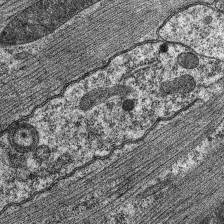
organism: C. elegans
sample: Pharynx